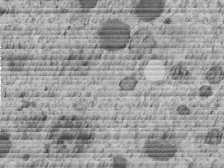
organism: C. elegans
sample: C. elegans embryo early stage